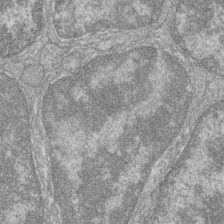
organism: Zebrafish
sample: Cilia; retinal pigment epithelium